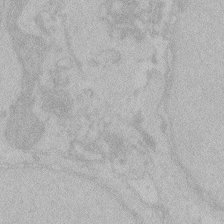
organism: Zebrafish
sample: Macrophage infected with Toxoplasma gondii